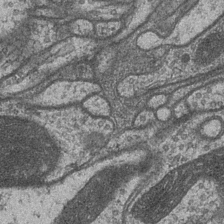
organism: Drosophila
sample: Optic medulla